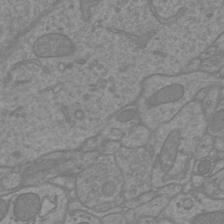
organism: Mouse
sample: Cortical neurons